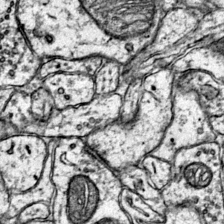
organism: Mouse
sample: Primary visual cortex